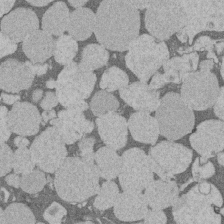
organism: Rat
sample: Salivary granule